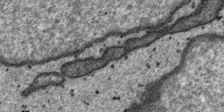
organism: Human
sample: Lung epithelial cells, uninfected (mock) control